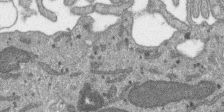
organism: Human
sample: Lung epithelial cells infected with SARS-CoV-2